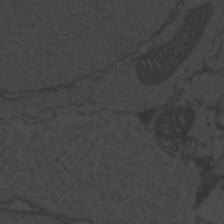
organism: Zebrafish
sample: Macrophage infected with Toxoplasma gondii